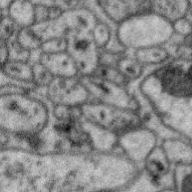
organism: Zebra finch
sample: Brain